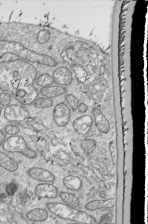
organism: Drosophila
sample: Cell division; meiosis; drosophila spermatocytes